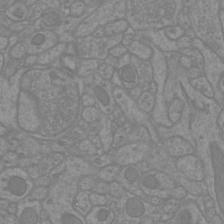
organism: Mouse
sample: Cortical neurons